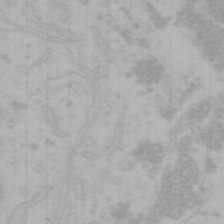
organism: Mouse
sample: Choroid plexus